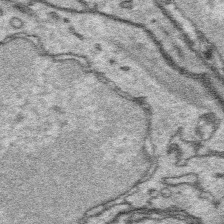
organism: Platynereis dumerilii